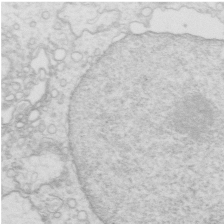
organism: Mouse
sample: Multiciliated cells